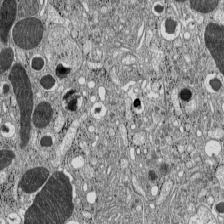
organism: C57BL Mouse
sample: Pancreatic islet